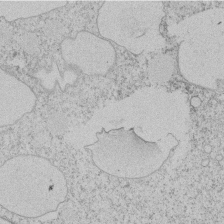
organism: Tetrahymena